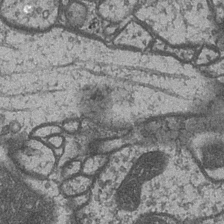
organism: Drosophila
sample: Optic medulla